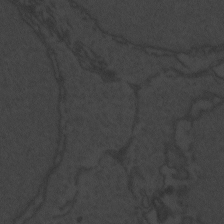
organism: Zebrafish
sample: Macrophage infected with Toxoplasma gondii